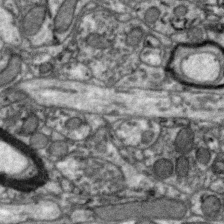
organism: Zebra finch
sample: Brain